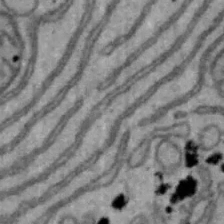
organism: Mouse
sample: Liver